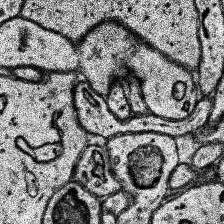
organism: Human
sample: Temporal Lobe